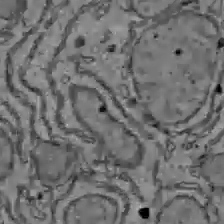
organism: C57BL Mouse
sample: Liver